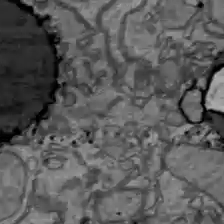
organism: C57BL Mouse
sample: Liver